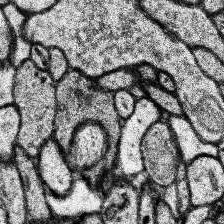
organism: Human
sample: Temporal Lobe